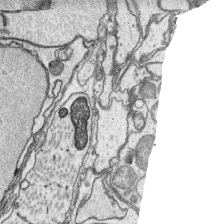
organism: Platynereis dumerilii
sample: Parapodia